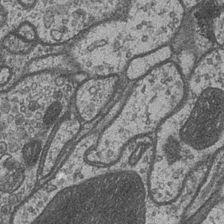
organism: Drosophila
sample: Optic medulla